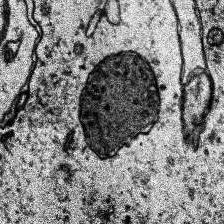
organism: Human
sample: Temporal Lobe